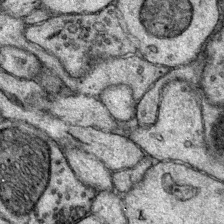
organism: Mouse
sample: Primary visual cortex